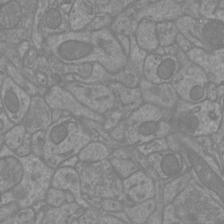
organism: Mouse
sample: Cortical neurons